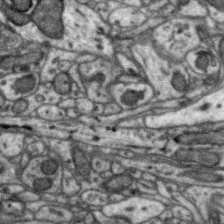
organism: Zebra finch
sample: Brain